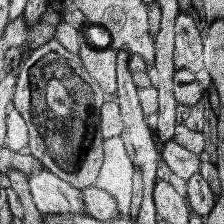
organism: Human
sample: Temporal Lobe